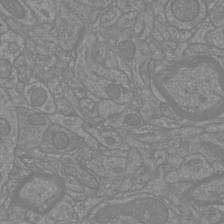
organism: Mouse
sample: Cortical neurons